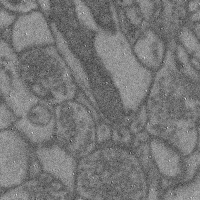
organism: Mouse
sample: Cerebral cortex